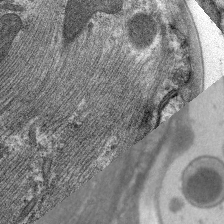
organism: C. elegans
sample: Pharynx